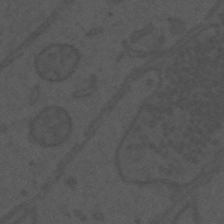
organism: Mouse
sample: Suprachiasmatic nucleus